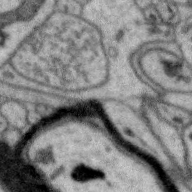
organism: Zebra finch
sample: Brain